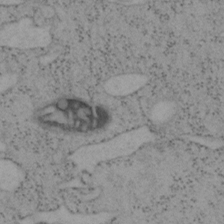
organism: Mouse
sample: OT-I killer T cells with ID8 ovarian cancer cells